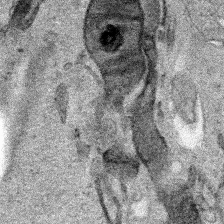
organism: Human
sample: Mitochondria in HCT116 cells